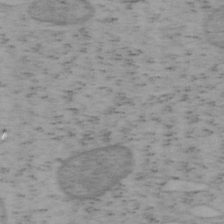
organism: Mouse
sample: OT-I killer T cells with ID8 ovarian cancer cells